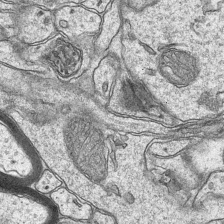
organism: Mouse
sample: CA1 Hippocampus